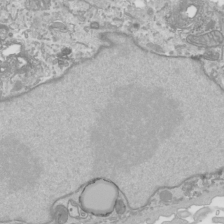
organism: Human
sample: Mitochondria in HCT116 cells